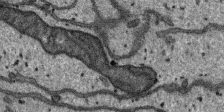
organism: Human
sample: Lung epithelial cells, uninfected (mock) control